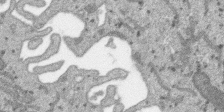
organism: Human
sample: Lung epithelial cells infected with SARS-CoV-2